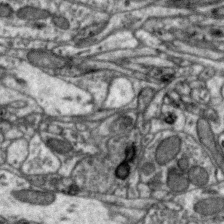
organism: Zebra finch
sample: Brain